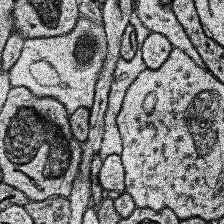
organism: Human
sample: Temporal Lobe